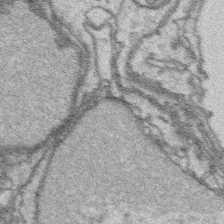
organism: Platynereis dumerilii